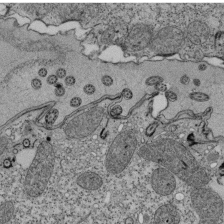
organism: Tetrahymena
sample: Cilia in tetrahymena